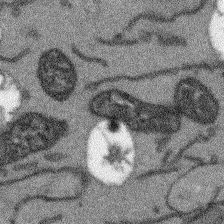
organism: Arabidopsis thaliana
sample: Root tip